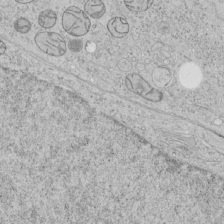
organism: Human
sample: Mitochondria in HCT116 cells